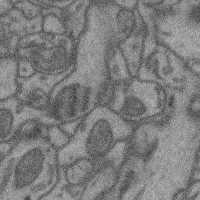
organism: Mouse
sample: Cerebral cortex